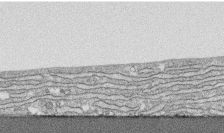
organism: Human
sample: CRL-1474